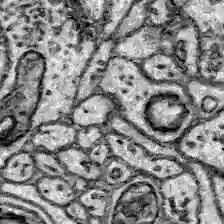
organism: Zebrafish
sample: Brain